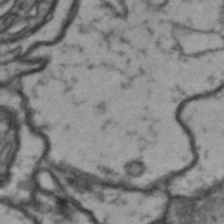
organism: Drosophila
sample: Brain